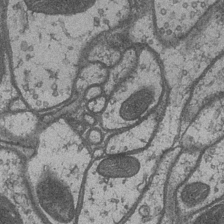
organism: Drosophila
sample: Optic medulla